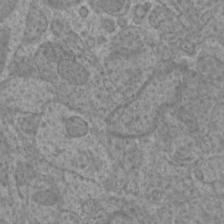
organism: Mouse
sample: Cortical neurons